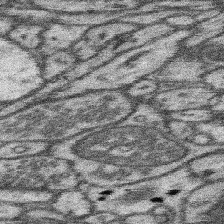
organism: Mouse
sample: Somatosensory cortex neuropil